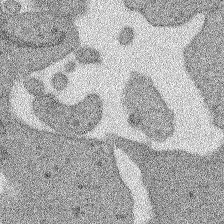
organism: Human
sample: HeLa cells